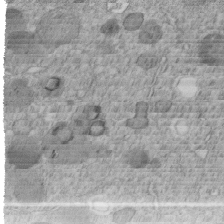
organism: C. elegans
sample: C. elegans embryo early stage